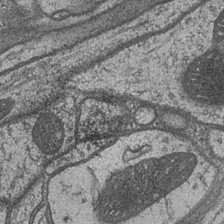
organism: Drosophila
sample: Optic medulla